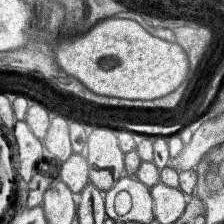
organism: Human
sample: Temporal Lobe